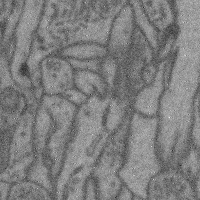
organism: Mouse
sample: Cerebral cortex